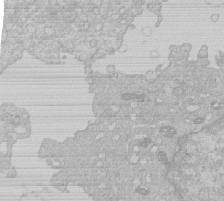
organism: Human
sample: Macrophage cells